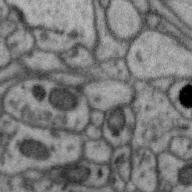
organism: Zebra finch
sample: Brain